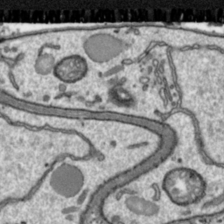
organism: Toxoplasma gondii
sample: Parasites in a vacuole inside a host cell